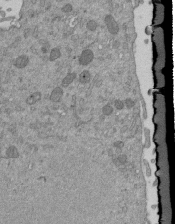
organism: Mouse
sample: ED-1 cell nuclei; centrioles